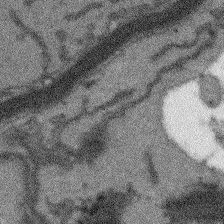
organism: Arabidopsis thaliana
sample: Root tip